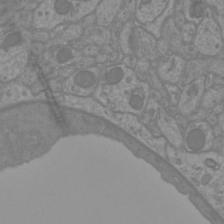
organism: Mouse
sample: Cortical neurons